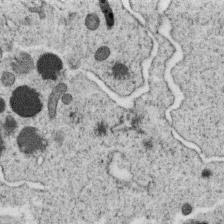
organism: C. elegans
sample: C. elegans oocyte; sperm cells